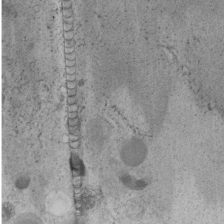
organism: C. elegans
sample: C. elegans embryo early stage